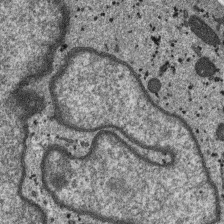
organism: Human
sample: Lung epithelial cells infected with SARS-CoV-2